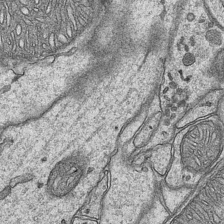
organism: Mouse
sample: CA1 Hippocampus